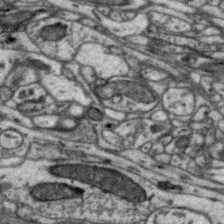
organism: Zebra finch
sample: Brain